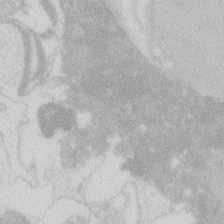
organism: Zebrafish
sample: Macrophage